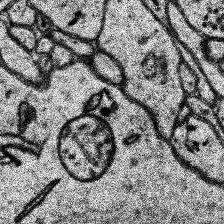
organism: Human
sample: Temporal Lobe